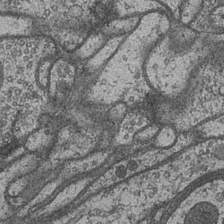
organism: Drosophila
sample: Optic medulla